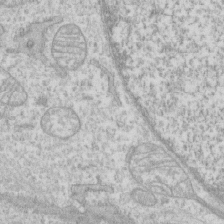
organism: Human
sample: CRL-1474